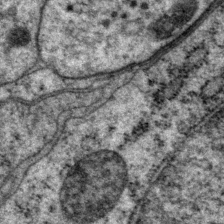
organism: P. pacificus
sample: Pharynx